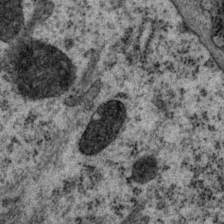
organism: P. pacificus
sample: Pharynx